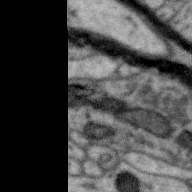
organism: Zebra finch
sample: Brain